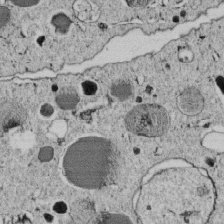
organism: C. elegans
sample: C. elegans embryo early stage